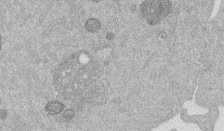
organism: Mouse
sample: Dividing mouse embryo 1 cell stage